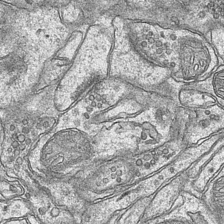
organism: Mouse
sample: CA1 Hippocampus